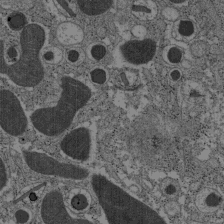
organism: C57BL Mouse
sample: Pancreatic islet